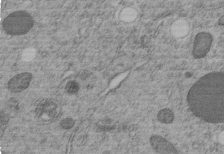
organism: C. elegans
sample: C. elegans embryo early stage